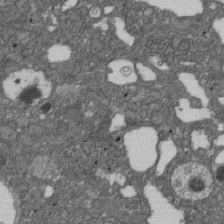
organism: Drosophila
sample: Nephrocyte